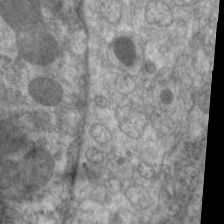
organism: C. elegans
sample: Pharynx